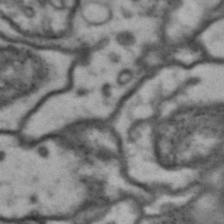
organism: Drosophila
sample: Brain